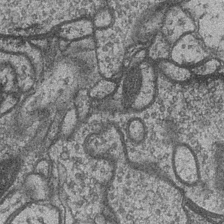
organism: Drosophila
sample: Optic medulla